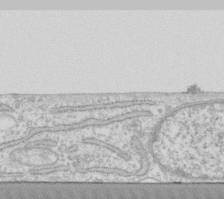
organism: Human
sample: Fibroblast cells